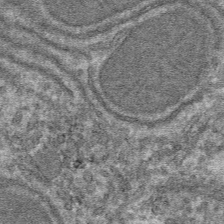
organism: Mouse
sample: Mouse hepatocytes